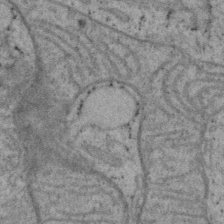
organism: Human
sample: HeLa cells